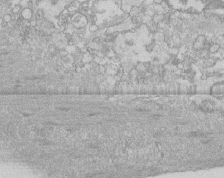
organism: Human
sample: CRL-1474